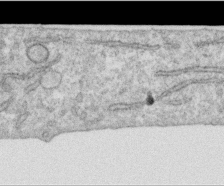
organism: Human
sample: Centriole in RPE cells